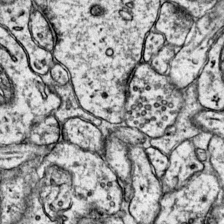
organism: Mouse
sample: Primary visual cortex